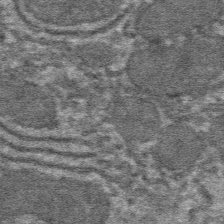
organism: Mouse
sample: Mouse hepatocytes